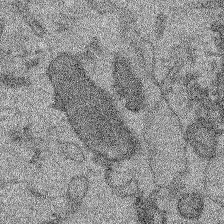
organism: Human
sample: HeLa cells